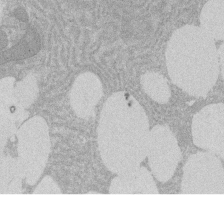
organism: Rat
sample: Salivary granule